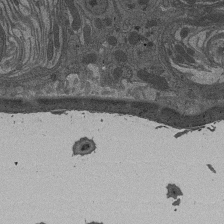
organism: Drosophila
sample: Antenna